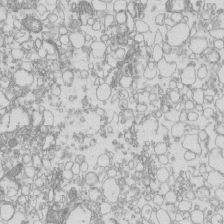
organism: Mouse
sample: Macrophages